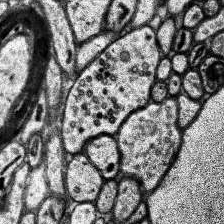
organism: Human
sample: Temporal Lobe